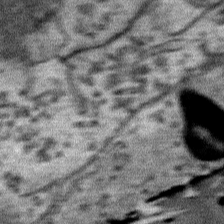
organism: Mouse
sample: Mouse Salivary gland